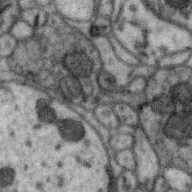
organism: Zebra finch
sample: Brain